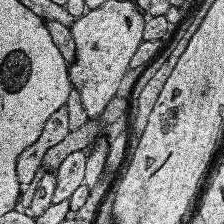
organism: Human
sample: Temporal Lobe